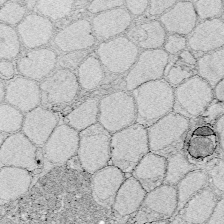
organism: Zebrafish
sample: Whole-Brain